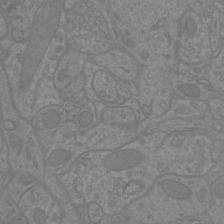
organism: Mouse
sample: Cortical neurons